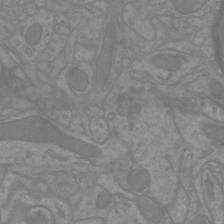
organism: Mouse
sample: Cortical neurons